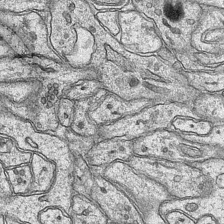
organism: Mouse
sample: CA1 Hippocampus